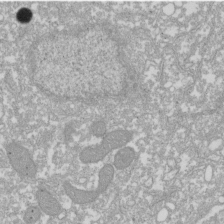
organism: Xenopus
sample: Cilia; centrioles in frog embryo cells